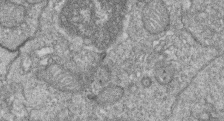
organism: Zebrafish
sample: Cilia; retinal pigment epithelium